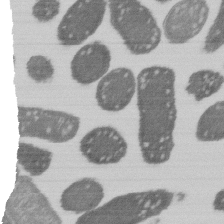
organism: E. coli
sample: Bacterial nucleoid